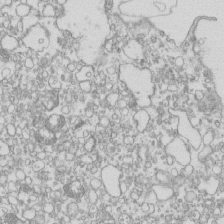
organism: Mouse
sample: Macrophages